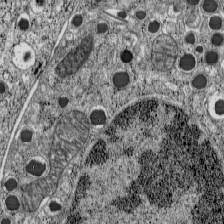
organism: C57BL Mouse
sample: Pancreatic islet